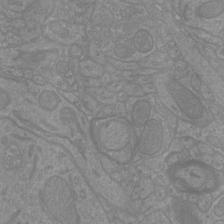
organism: Mouse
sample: Cortical neurons